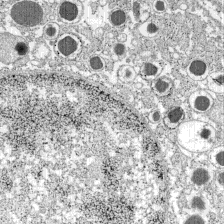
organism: C57BL Mouse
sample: Pancreatic islet